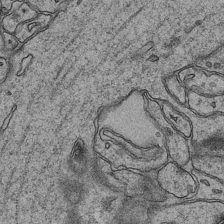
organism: Mouse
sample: CA1 Hippocampus